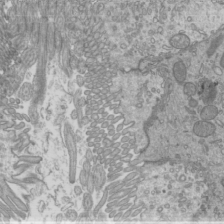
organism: Mouse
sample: Cilia; mouse epididymis